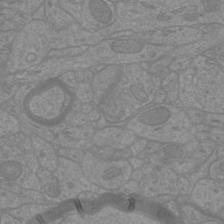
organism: Mouse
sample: Cortical neurons